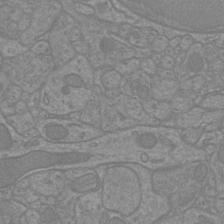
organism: Mouse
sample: Cortical neurons